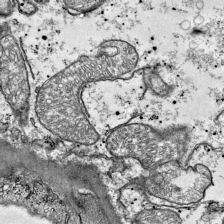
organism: Mouse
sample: Visual Cortex